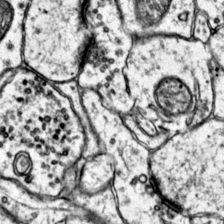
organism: Mouse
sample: Primary visual cortex